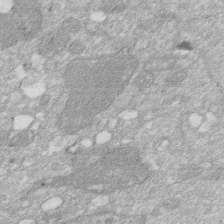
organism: Human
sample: HIV infected U937 cells